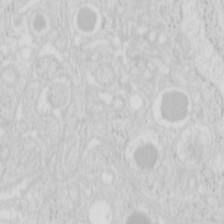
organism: Mouse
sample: Pancreas